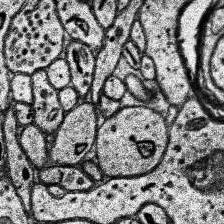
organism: Human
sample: Temporal Lobe